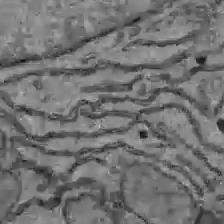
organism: C57BL Mouse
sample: Liver